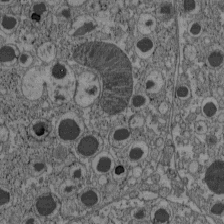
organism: C57BL Mouse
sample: Pancreatic islet